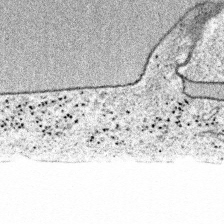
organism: Human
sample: HeLa cells